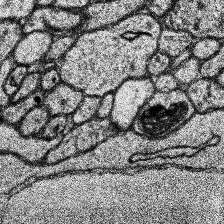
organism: Human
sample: Temporal Lobe